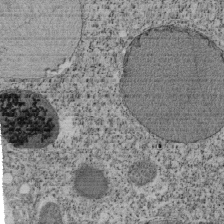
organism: Tetrahymena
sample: Cilia in tetrahymena